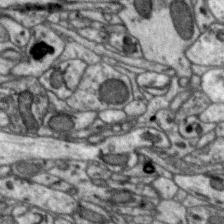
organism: Zebra finch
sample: Brain